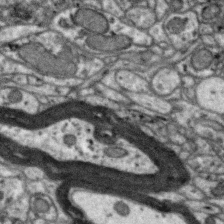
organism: Zebra finch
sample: Brain